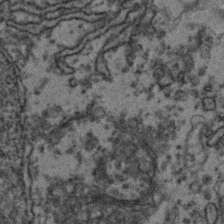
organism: Zebrafish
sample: Zebrafish embryo